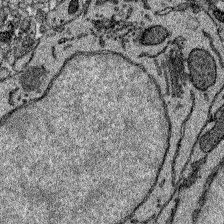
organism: Zebrafish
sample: Larval olfactory bulb